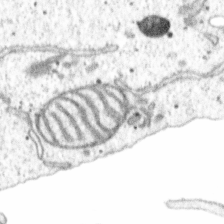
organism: Human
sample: HeLa cells